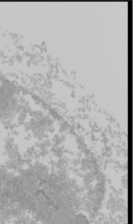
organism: Mouse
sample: Cancer cell death in ED-1 cells